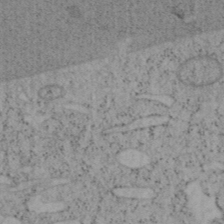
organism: Mouse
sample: OT-I killer T cells with ID8 ovarian cancer cells